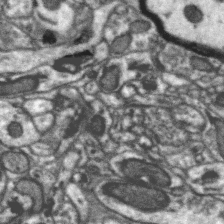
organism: Zebra finch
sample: Brain